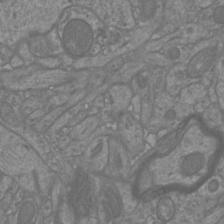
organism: Mouse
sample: Cortical neurons